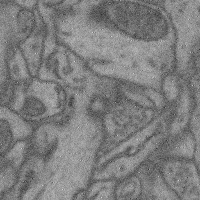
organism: Mouse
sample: Cerebral cortex